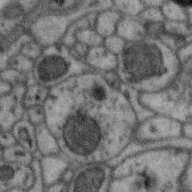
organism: Zebra finch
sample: Brain